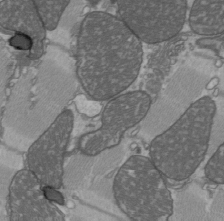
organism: C57BL Mouse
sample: Heart